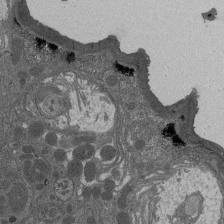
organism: Drosophila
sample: Antenna